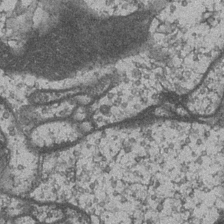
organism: Drosophila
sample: Optic medulla